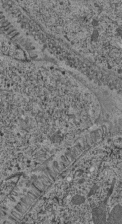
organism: C. elegans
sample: C. elegans pharynx